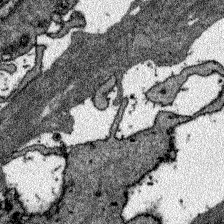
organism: Zebrafish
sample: Larval olfactory bulb